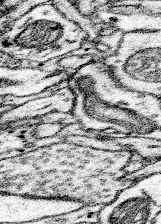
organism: Mouse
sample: Somatosensory cortex neuropil